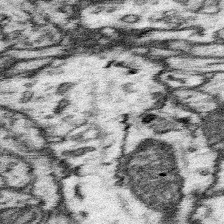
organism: Mouse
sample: Somatosensory cortex neuropil